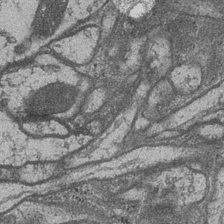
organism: Drosophila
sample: Optic medulla